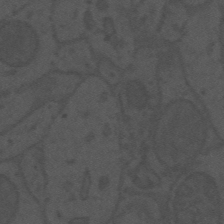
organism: Mouse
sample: Suprachiasmatic nucleus